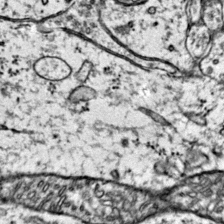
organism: Mouse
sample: Primary visual cortex